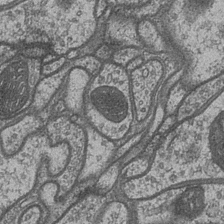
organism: Drosophila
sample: Optic medulla